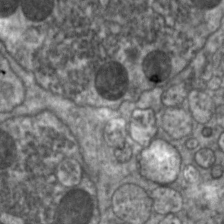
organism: C. elegans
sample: Pharynx